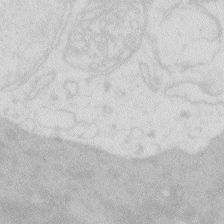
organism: Zebrafish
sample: Macrophage